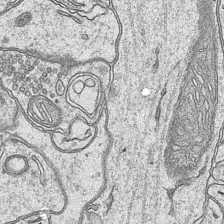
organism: Mouse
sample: CA1 Hippocampus